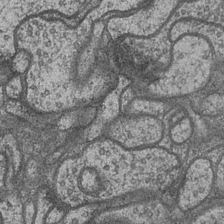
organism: Drosophila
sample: Optic medulla